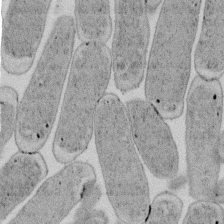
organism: E. coli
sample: Bacterial nucleoid